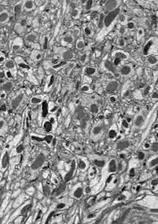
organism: Drosophila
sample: Optic lobe